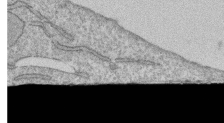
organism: Human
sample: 1205lu cells